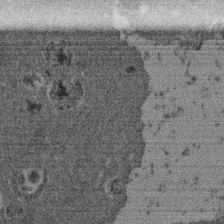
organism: Mouse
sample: Dividing mouse embryo 1 cell stage